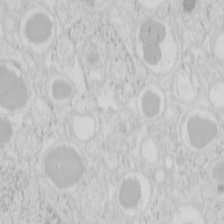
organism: Mouse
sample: Pancreas